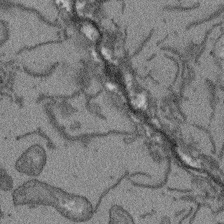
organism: Arabidopsis thaliana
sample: Root tip